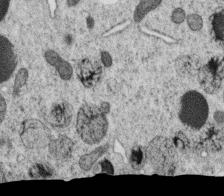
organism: C. elegans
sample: C. elegans oocyte; sperm cells